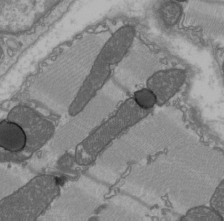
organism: C57BL Mouse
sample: Heart